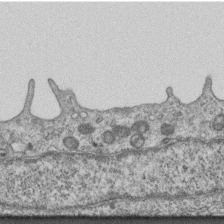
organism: Mouse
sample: Centriole in ependymal cells